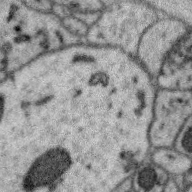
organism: Zebra finch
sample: Brain